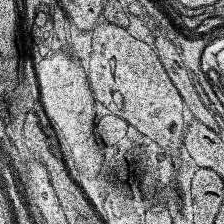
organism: Human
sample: Temporal Lobe